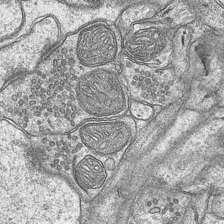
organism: Mouse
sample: CA1 Hippocampus